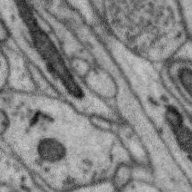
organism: Zebra finch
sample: Brain